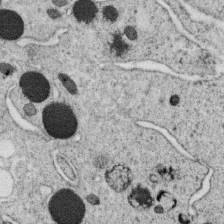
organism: C. elegans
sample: C. elegans oocyte; sperm cells